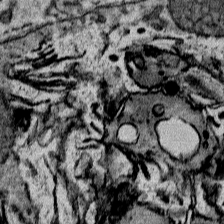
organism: Mouse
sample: Mouse Salivary gland